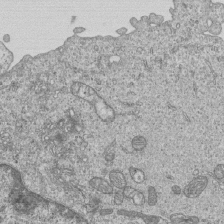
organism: Human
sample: MDA-MB-231 cells